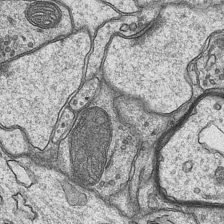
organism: Mouse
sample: CA1 Hippocampus